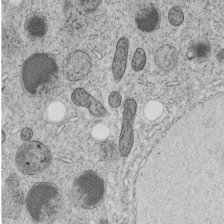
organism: C. elegans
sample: C. elegans embryo early stage